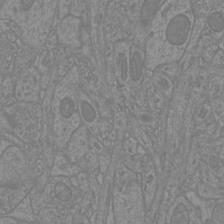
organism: Mouse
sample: Cortical neurons